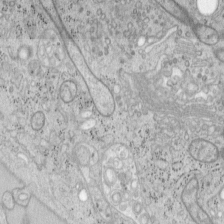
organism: Mouse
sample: OT-I killer T cells with ID8 ovarian cancer cells